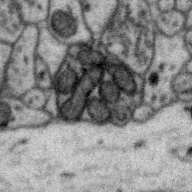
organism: Zebra finch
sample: Brain